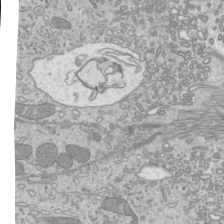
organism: Mouse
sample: Cilia; mouse epididymis